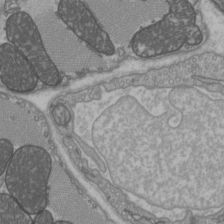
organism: C57BL Mouse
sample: Heart